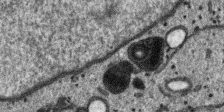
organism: Human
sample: Lung epithelial cells infected with SARS-CoV-2